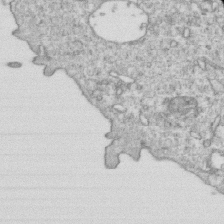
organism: Mouse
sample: Activated OT-1 CD8+ T cells